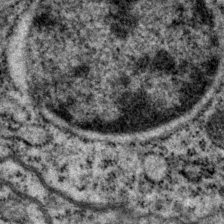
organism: P. pacificus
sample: Pharynx